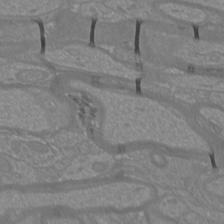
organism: Mouse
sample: Cortical neurons